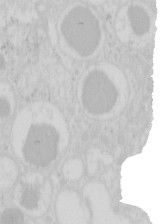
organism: Mouse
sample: Pancreas